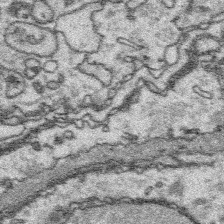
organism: Platynereis dumerilii